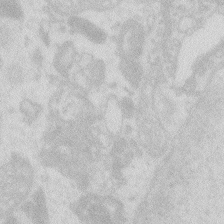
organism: Zebrafish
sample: Macrophage